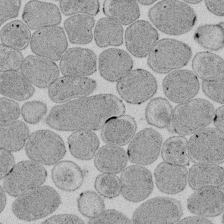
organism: E. coli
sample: Bacterial nucleoid